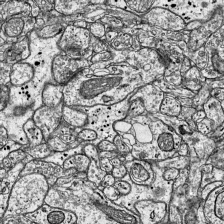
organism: Mouse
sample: Visual Cortex